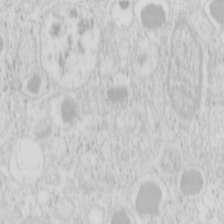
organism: Mouse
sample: Pancreas